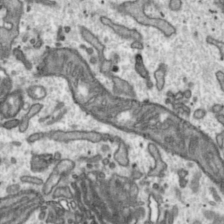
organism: Toxoplasma gondii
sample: Parasites in a vacuole inside a host cell